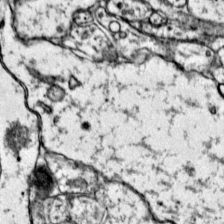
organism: Mouse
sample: Primary visual cortex